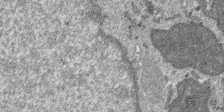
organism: Human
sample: Lung epithelial cells infected with SARS-CoV-2